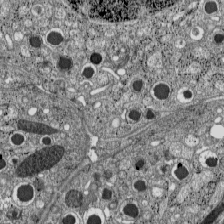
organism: C57BL Mouse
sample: Pancreatic islet